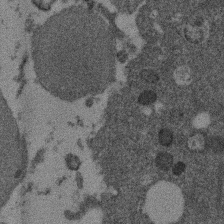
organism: Mouse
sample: Dividing mouse embryo 1 cell stage